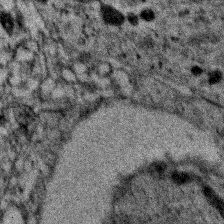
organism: Zebrafish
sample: Zebrafish embryo